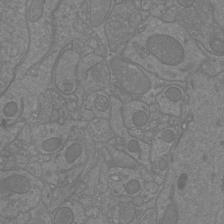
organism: Mouse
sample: Cortical neurons